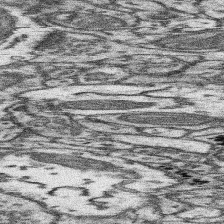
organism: Mouse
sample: Somatosensory cortex neuropil